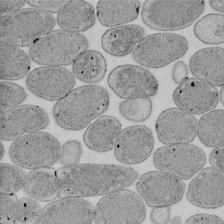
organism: E. coli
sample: Bacterial nucleoid